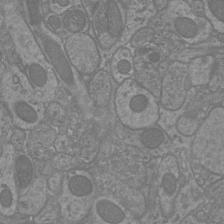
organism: Mouse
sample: Cortical neurons